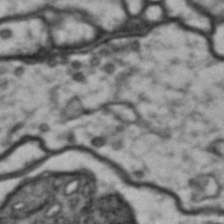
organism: Drosophila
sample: Brain